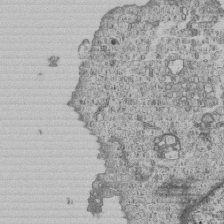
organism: Human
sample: MDA-MB-231 cells